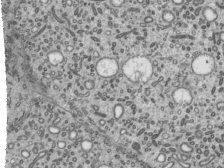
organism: Mouse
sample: Mouse epididymis efferent ductule cilia